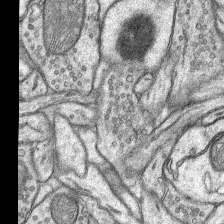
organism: Rat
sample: Hippocampus